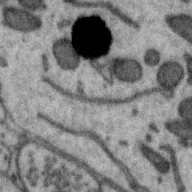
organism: Zebra finch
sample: Brain